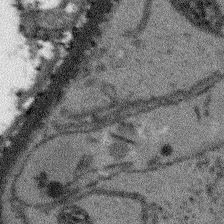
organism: Arabidopsis thaliana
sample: Root tip